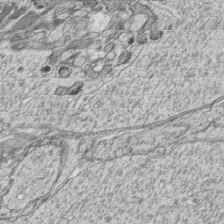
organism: Zebrafish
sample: synaptic ribbons in rod cells and cone cells